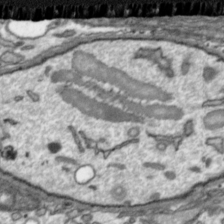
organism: Toxoplasma gondii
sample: Parasites in a vacuole inside a host cell